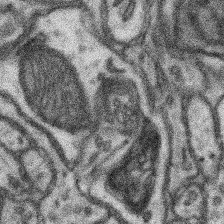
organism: Mouse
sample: Somatosensory cortex neuropil